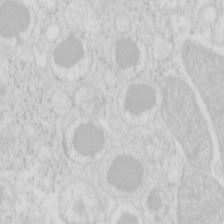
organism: Mouse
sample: Pancreas